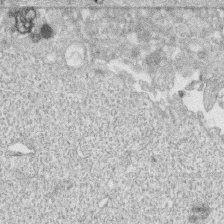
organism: Human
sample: HeLa cell HIV synapse